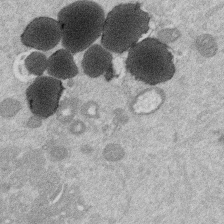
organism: Mouse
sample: Dividing mouse embryo 1 cell stage